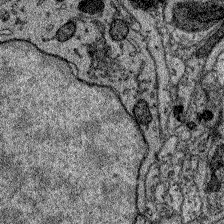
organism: Zebrafish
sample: Larval olfactory bulb